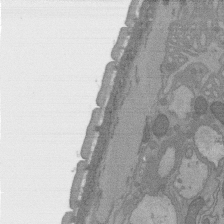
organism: C. elegans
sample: AFD neurons C. elegans